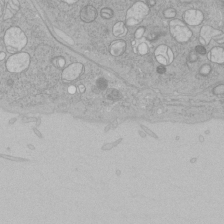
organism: Human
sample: Mitochondria in HCT116 cells